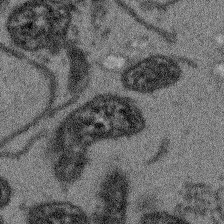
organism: Arabidopsis thaliana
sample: Root tip